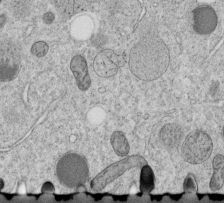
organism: C. elegans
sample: C. elegans embryo early stage